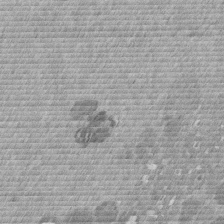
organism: Mouse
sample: Dividing mouse embryo 1 cell stage